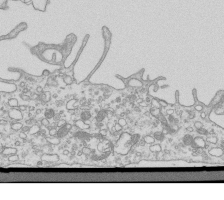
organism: Mouse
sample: Macrophages